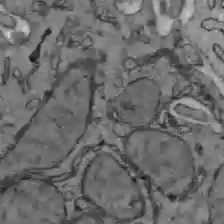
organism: C57BL Mouse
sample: Liver